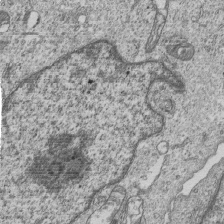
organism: Human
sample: MDA-MB-231 cells